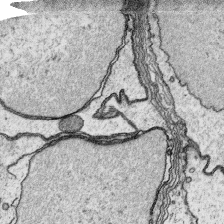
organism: Platynereis dumerilii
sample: Parapodia